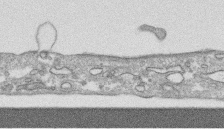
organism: Human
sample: CRL-1474